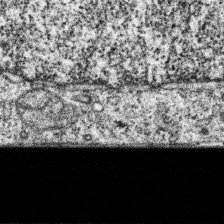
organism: Human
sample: HeLa cells